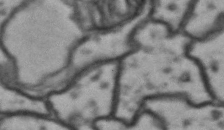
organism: Drosophila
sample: Brain